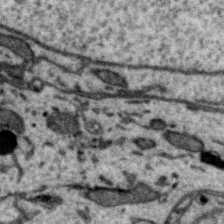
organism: Zebra finch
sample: Brain